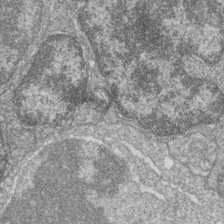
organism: Zebrafish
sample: Cilia; retinal pigment epithelium